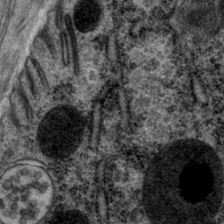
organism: P. pacificus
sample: Pharynx